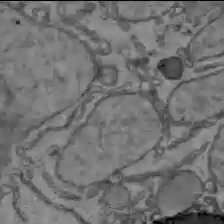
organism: C57BL Mouse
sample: Liver